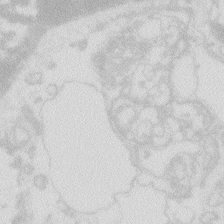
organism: Zebrafish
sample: Macrophage